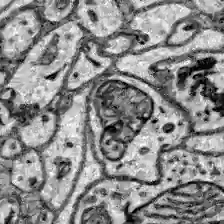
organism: Zebrafish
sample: Brain